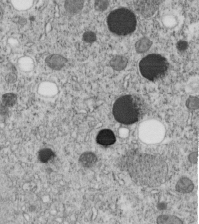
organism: C. elegans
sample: C. elegans embryo early stage